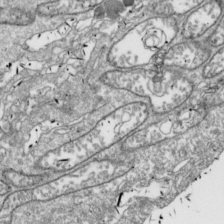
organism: Drosophila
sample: Cell division; meiosis; drosophila spermatocytes